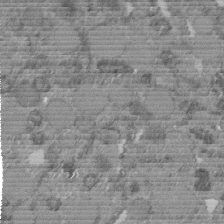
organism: C. elegans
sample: C. elegans embryo early stage